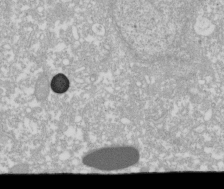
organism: Xenopus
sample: Cilia; centrioles in frog embryo cells